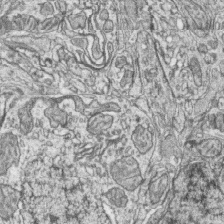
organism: Zebrafish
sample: synaptic ribbons in rod cells and cone cells